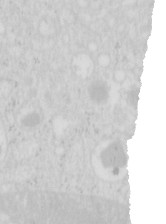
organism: Mouse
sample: Pancreas